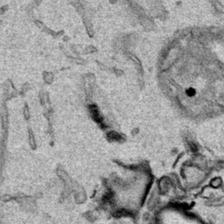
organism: Human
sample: Mitochondria in HCT116 cells